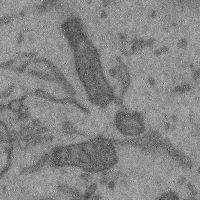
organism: Mouse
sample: Cerebral cortex